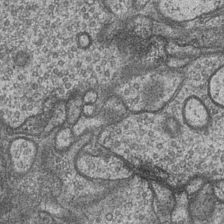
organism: Drosophila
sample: Optic medulla